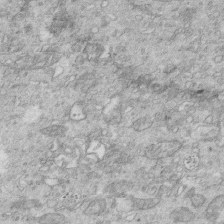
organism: Mouse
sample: Multiciliated cells